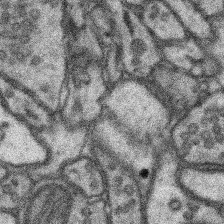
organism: Mouse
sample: Somatosensory cortex neuropil